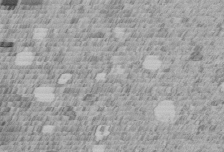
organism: C. elegans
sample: C. elegans embryo early stage